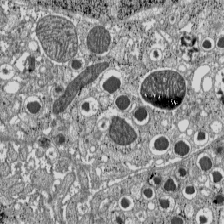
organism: C57BL Mouse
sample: Pancreatic islet